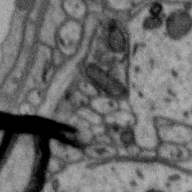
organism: Zebra finch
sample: Brain